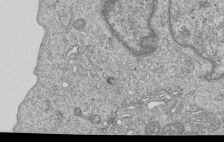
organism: Human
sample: MDA-MB-231 cells